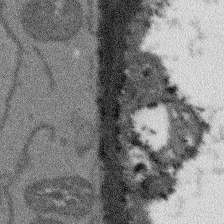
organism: Arabidopsis thaliana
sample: Root tip